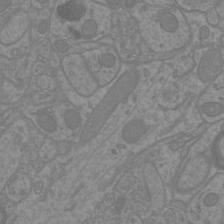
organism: Mouse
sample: Cortical neurons